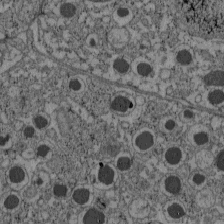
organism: C57BL Mouse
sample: Pancreatic islet